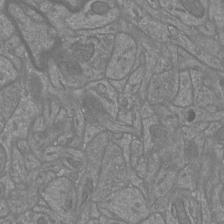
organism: Mouse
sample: Cortical neurons